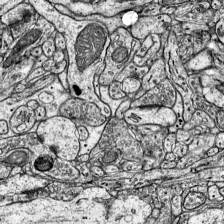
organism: Mouse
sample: Visual Cortex